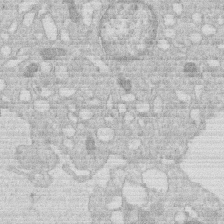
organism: Human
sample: Macrophage cells